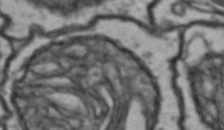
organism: Drosophila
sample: Brain